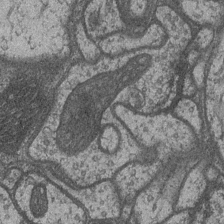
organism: Drosophila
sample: Optic medulla